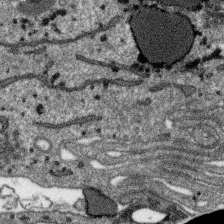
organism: Human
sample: Lung epithelial cells infected with SARS-CoV-2